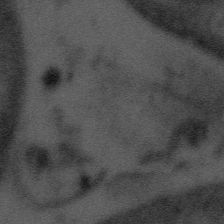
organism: Tuwongella immobilis